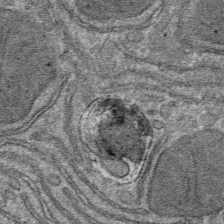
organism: Mouse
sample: Mouse hepatocytes